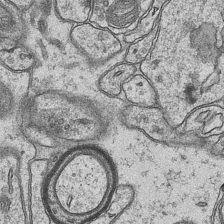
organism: Mouse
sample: CA1 Hippocampus